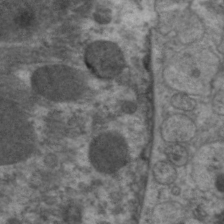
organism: C. elegans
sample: Pharynx